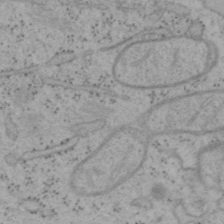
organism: Human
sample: HeLa cells